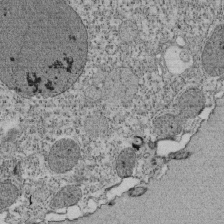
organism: Tetrahymena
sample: Cilia in tetrahymena